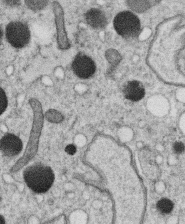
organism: C. elegans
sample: C. elegans oocyte; sperm cells